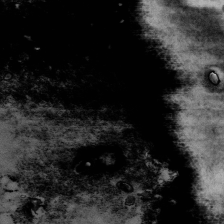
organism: Human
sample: U2-OS cells